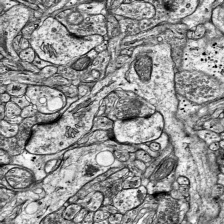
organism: Mouse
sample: Visual Cortex